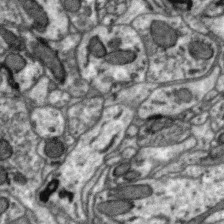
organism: Zebra finch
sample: Brain